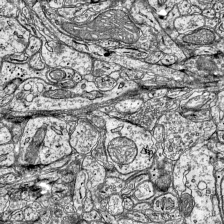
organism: Mouse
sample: Visual Cortex